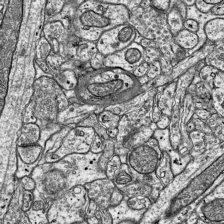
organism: Mouse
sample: Visual Cortex